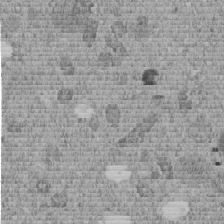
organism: C. elegans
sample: C. elegans embryo early stage